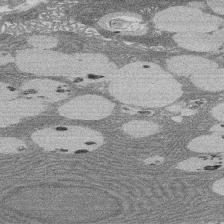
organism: Rat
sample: Salivary granule